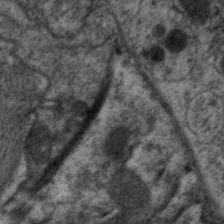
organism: C. elegans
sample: Pharynx